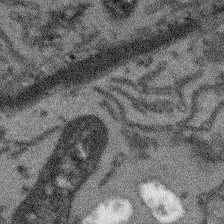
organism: Arabidopsis thaliana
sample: Root tip